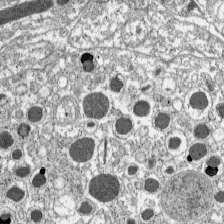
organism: C57BL Mouse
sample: Pancreatic islet